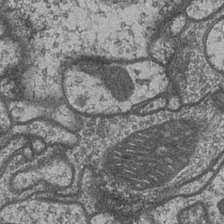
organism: Drosophila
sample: Optic medulla